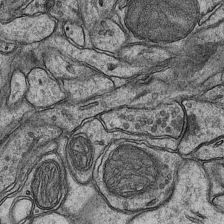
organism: Mouse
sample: CA1 Hippocampus